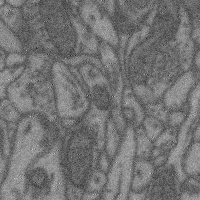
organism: Mouse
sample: Cerebral cortex